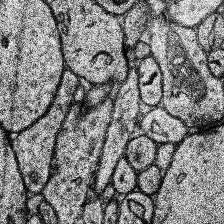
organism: Human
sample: Temporal Lobe